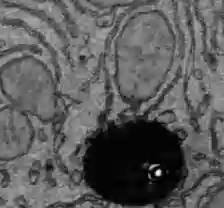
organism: C57BL Mouse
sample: Liver